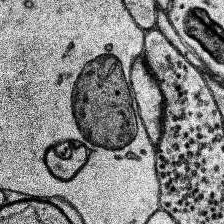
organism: Human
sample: Temporal Lobe